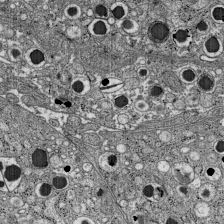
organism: C57BL Mouse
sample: Pancreatic islet